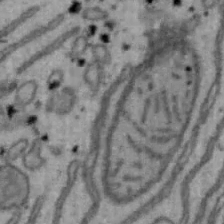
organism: Mouse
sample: Liver